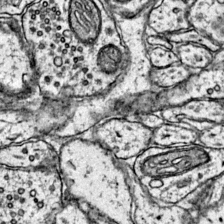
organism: Mouse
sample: Primary visual cortex